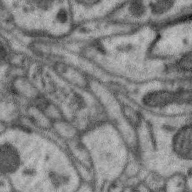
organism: Zebra finch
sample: Brain